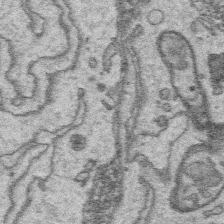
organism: Platynereis dumerilii